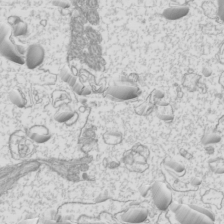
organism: Mouse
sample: Cilia; mouse epididymis